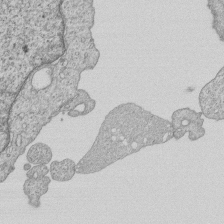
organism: Human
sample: MDA-MB-231 cells